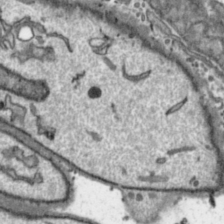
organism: Toxoplasma gondii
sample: Parasites in a vacuole inside a host cell